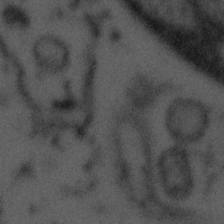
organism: Tuwongella immobilis